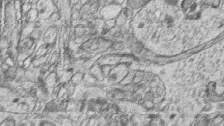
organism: Zebrafish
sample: synaptic ribbons in rod cells and cone cells